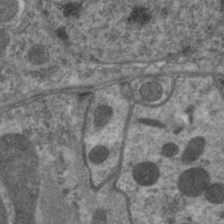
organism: C. elegans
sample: Pharynx